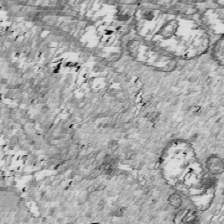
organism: Drosophila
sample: Cell division; meiosis; drosophila spermatocytes